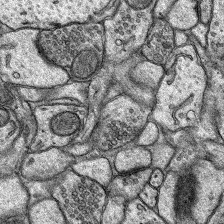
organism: Rat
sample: Hippocampus